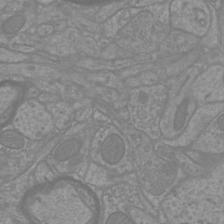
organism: Mouse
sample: Cortical neurons